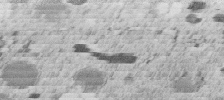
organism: C. elegans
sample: C. elegans embryo early stage